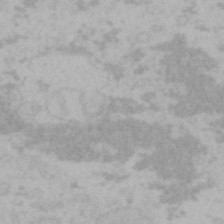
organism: Mouse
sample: Choroid plexus